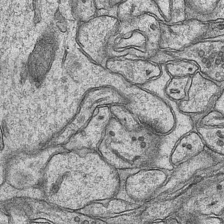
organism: Mouse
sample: CA1 Hippocampus